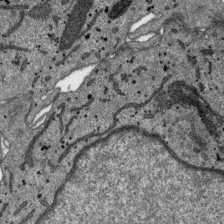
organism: Human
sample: Lung epithelial cells, uninfected (mock) control